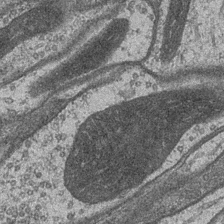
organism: Drosophila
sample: Optic medulla